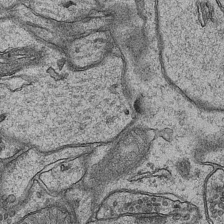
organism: Mouse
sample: CA1 Hippocampus